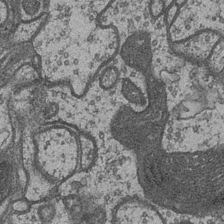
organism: Drosophila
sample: Optic medulla